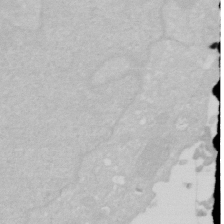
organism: Human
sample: HIV infected U937 cells